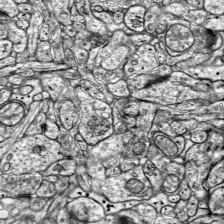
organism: Mouse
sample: Visual Cortex